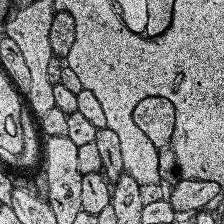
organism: Human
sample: Temporal Lobe